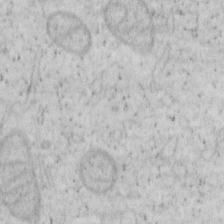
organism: Human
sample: HeLa cells